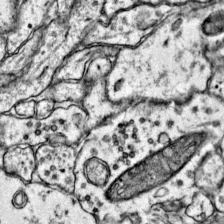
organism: Mouse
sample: Primary visual cortex